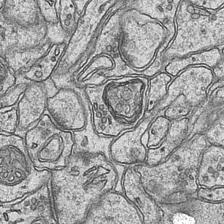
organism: Mouse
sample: CA1 Hippocampus